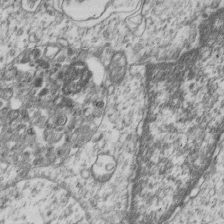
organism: Human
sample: MDA-MB-231 cells